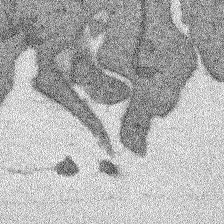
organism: Human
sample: HeLa cells